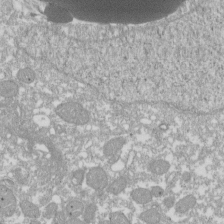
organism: Xenopus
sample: Cilia; centrioles in frog embryo cells